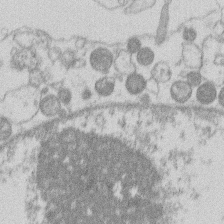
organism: Human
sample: Macrophage cells